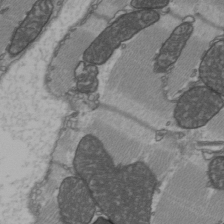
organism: C57BL Mouse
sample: Heart